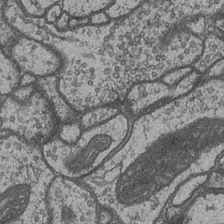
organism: Drosophila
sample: Optic medulla